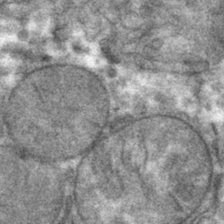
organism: Mouse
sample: Mouse hepatocytes